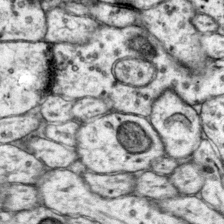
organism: Mouse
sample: Primary visual cortex